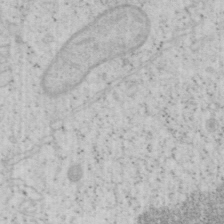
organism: Human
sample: HeLa cells